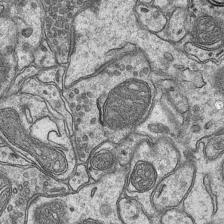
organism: Mouse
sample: CA1 Hippocampus